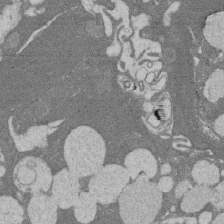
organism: Rat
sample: Salivary granule